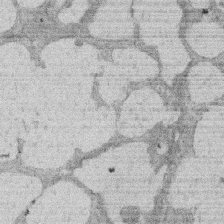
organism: Rat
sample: Salivary granule